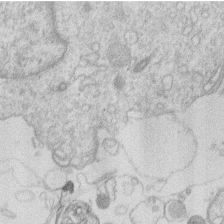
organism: Human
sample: Macrophage cells